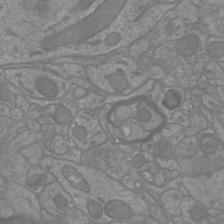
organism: Mouse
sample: Cortical neurons